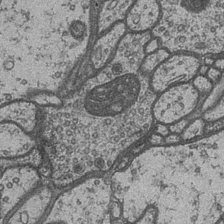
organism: Drosophila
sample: Optic medulla